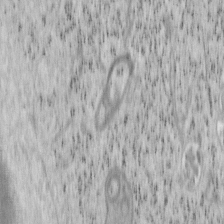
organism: Human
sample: HeLa cells